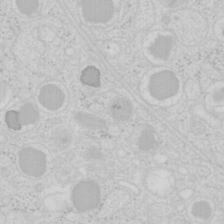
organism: Mouse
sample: Pancreas